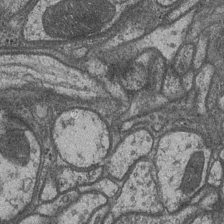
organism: Drosophila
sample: Optic medulla